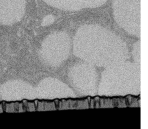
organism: Rat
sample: Salivary granule